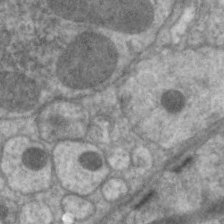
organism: C. elegans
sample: Pharynx